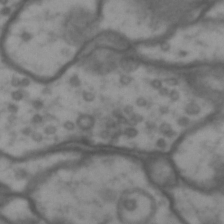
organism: Drosophila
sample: Brain